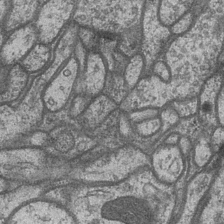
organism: Drosophila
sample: Optic medulla